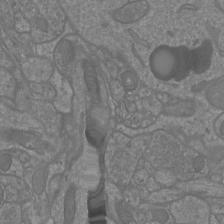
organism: Mouse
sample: Cortical neurons